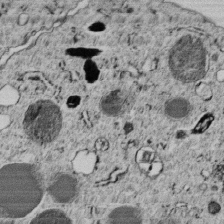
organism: C. elegans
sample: C. elegans embryo early stage